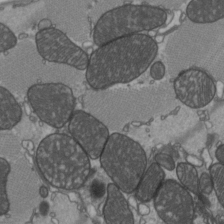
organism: C57BL Mouse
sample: Heart